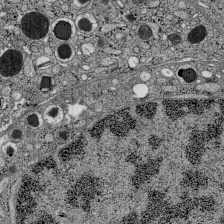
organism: C57BL Mouse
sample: Pancreatic islet